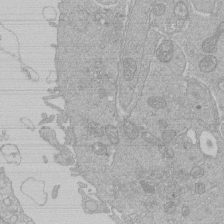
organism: Human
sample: Macrophage cells